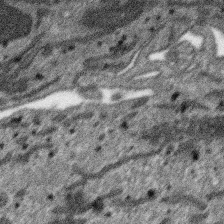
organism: Human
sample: Lung epithelial cells infected with SARS-CoV-2